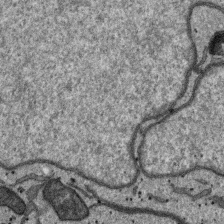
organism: Human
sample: Lung epithelial cells, uninfected (mock) control